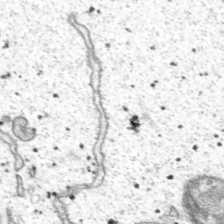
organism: Human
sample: HeLa cells